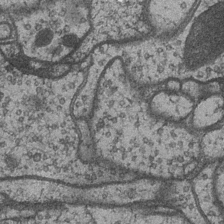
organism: Drosophila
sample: Optic medulla